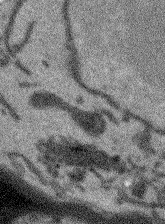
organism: Arabidopsis thaliana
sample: Root tip